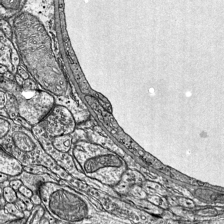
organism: Mouse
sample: Visual Cortex